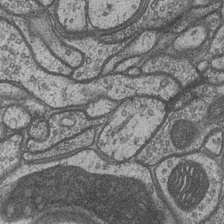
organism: Drosophila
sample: Optic medulla